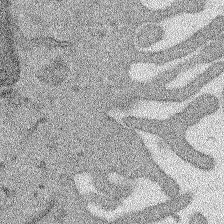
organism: Human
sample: HeLa cells